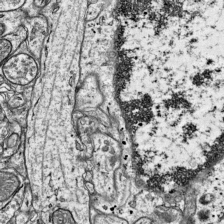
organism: Mouse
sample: Visual Cortex